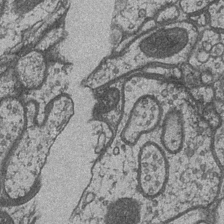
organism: Drosophila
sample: Optic medulla